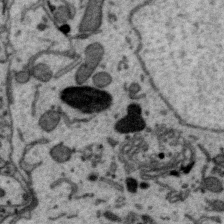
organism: Zebra finch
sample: Brain